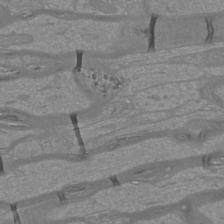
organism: Mouse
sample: Cortical neurons